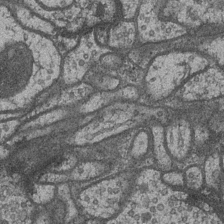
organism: Drosophila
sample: Optic medulla